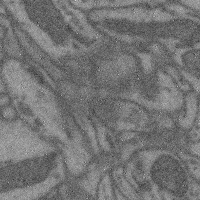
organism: Mouse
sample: Cerebral cortex